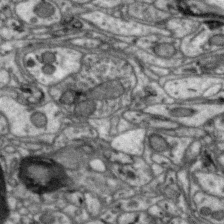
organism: Zebra finch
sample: Brain